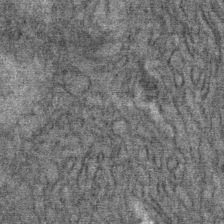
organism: Mouse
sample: Mouse Salivary gland